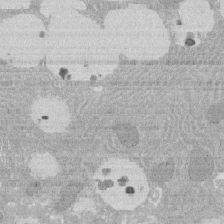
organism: Rat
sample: Salivary granule